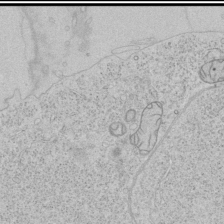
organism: Human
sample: Mitochondria in HCT116 cells